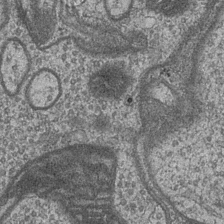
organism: Drosophila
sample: Optic medulla